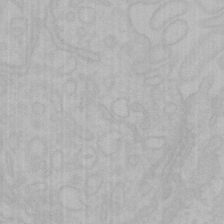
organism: Mouse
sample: Choroid plexus